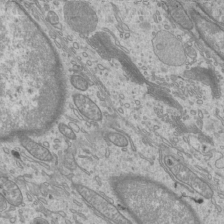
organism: Mouse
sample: Cilia; mouse epididymis